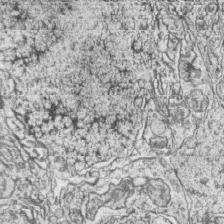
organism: Zebrafish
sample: synaptic ribbons in rod cells and cone cells